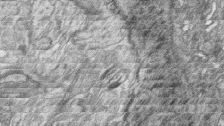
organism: Zebrafish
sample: synaptic ribbons in rod cells and cone cells